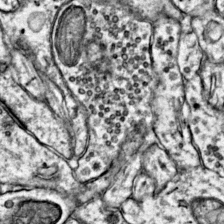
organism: Mouse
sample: Primary visual cortex